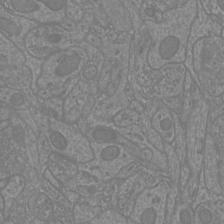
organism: Mouse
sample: Cortical neurons